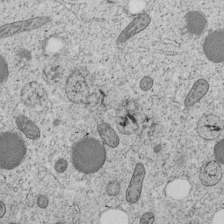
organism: C. elegans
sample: C. elegans embryo early stage